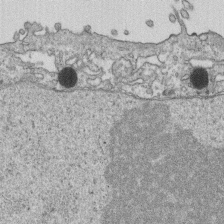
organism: Human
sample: HeLa cell HIV synapse